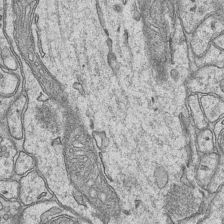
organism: Mouse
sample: CA1 Hippocampus